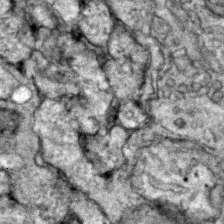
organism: Zebrafish